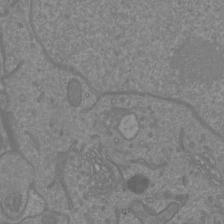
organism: Mouse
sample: Cortical neurons